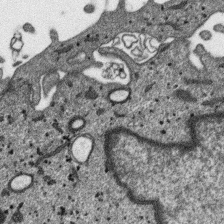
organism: Human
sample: Lung epithelial cells infected with SARS-CoV-2